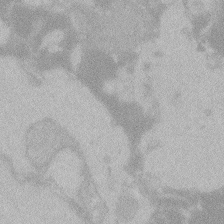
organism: Zebrafish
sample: Macrophage infected with Toxoplasma gondii